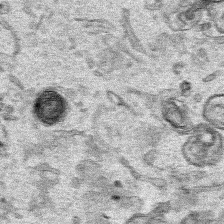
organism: Human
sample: Mitochondria in HCT116 cells